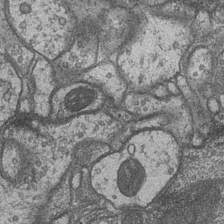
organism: Drosophila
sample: Optic medulla